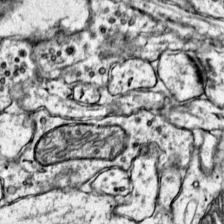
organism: Mouse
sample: Primary visual cortex